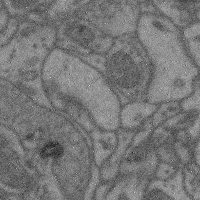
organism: Mouse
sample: Cerebral cortex